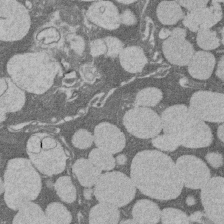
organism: Rat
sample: Salivary granule